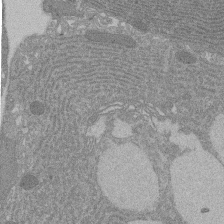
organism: Rat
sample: Salivary granule